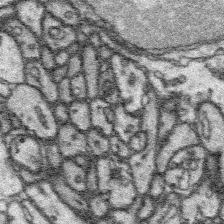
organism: Platynereis dumerilii